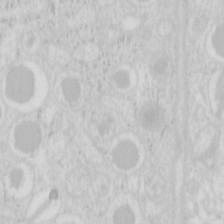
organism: Mouse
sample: Pancreas